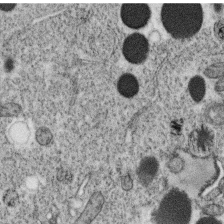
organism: C. elegans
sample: C. elegans oocyte; sperm cells